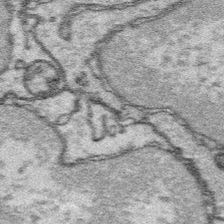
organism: Platynereis dumerilii